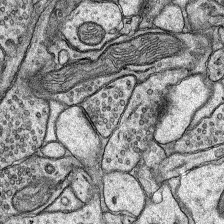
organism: Rat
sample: Hippocampus